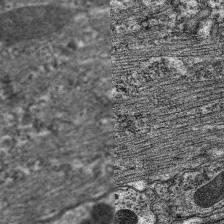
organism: C. elegans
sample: Pharynx